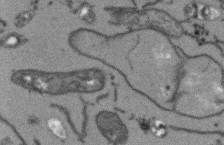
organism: Arabidopsis thaliana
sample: Root tip